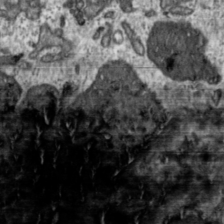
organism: Toxoplasma gondii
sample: Parasites in a vacuole inside a host cell